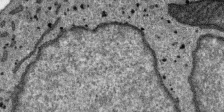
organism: Human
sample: Lung epithelial cells, uninfected (mock) control